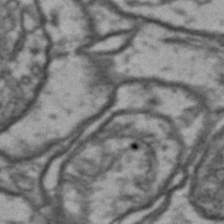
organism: Drosophila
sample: Brain